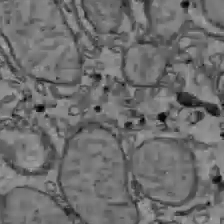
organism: C57BL Mouse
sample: Liver